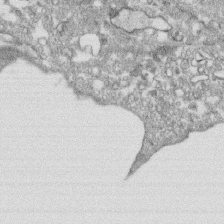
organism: Human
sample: CRL-1474